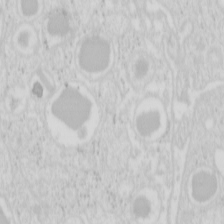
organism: Mouse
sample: Pancreas